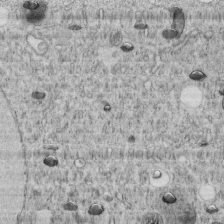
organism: C. elegans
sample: C. elegans embryo early stage